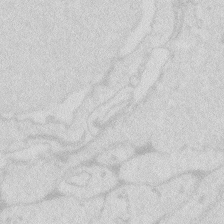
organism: Zebrafish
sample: Macrophage